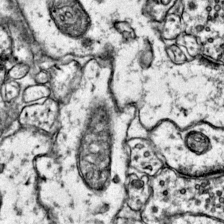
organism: Mouse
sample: Primary visual cortex